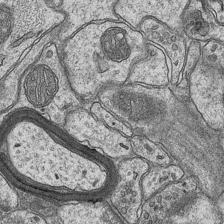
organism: Mouse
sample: CA1 Hippocampus